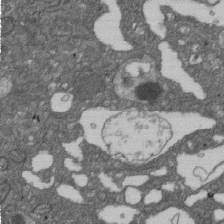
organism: Drosophila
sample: Nephrocyte